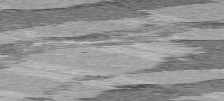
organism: C57BL Mouse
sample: Heart